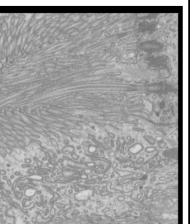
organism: Mouse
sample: Cilia; mouse epididymis